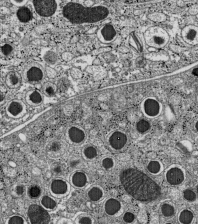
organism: C57BL Mouse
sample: Pancreatic islet